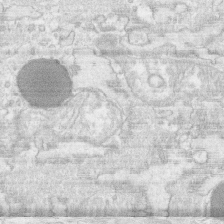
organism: Human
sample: CRL-1474